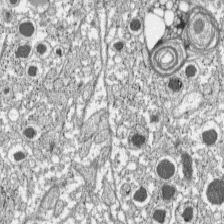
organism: C57BL Mouse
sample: Pancreatic islet